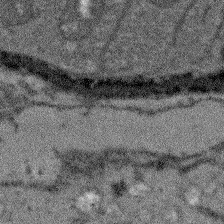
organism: Arabidopsis thaliana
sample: Root tip